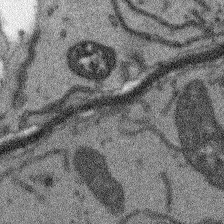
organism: Arabidopsis thaliana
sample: Root tip